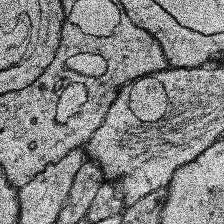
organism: Human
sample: Temporal Lobe